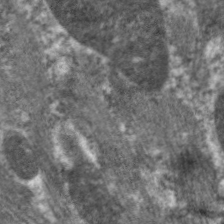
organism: C. elegans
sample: Pharynx